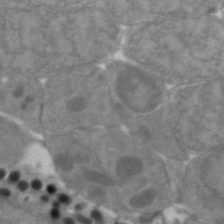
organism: Zebrafish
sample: Zebrafish embryo